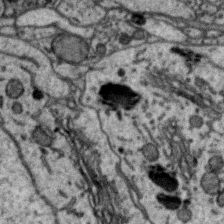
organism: Zebra finch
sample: Brain